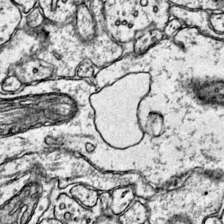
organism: Mouse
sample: Primary visual cortex